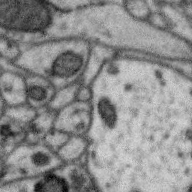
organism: Zebra finch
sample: Brain